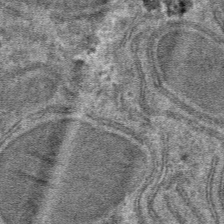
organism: Mouse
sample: Mouse hepatocytes